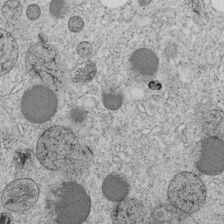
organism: C. elegans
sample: C. elegans embryo early stage